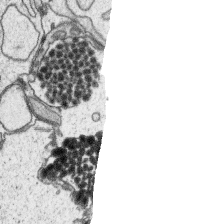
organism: Platynereis dumerilii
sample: Parapodia